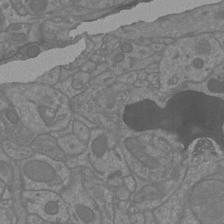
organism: Mouse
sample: Cortical neurons